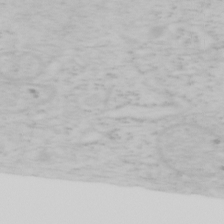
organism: Mouse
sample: OT-I killer T cells with ID8 ovarian cancer cells